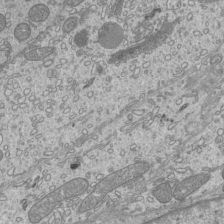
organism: Mouse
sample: Cilia; mouse epididymis